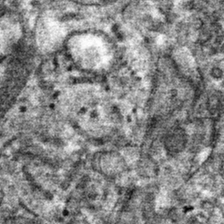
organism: Mouse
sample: Mouse hepatocytes